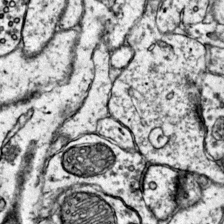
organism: Mouse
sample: Primary visual cortex